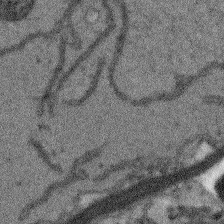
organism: Arabidopsis thaliana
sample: Root tip